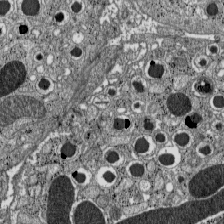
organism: C57BL Mouse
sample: Pancreatic islet